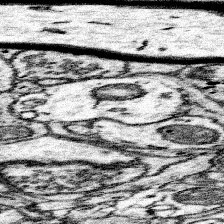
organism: Mouse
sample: Somatosensory cortex neuropil